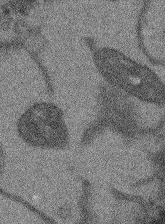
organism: Arabidopsis thaliana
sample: Root tip